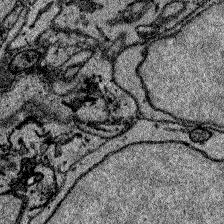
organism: Zebrafish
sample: Larval olfactory bulb